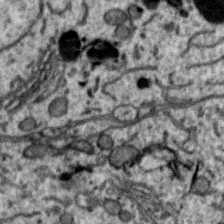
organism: Zebra finch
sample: Brain